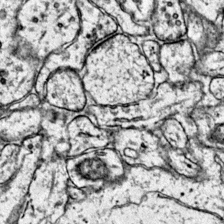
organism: Mouse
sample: Primary visual cortex